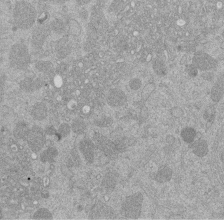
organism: Mouse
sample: Dividing mouse embryo 1 cell stage